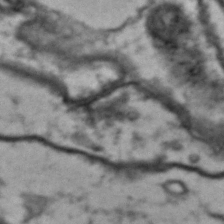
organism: Drosophila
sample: Brain